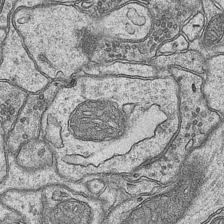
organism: Mouse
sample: CA1 Hippocampus